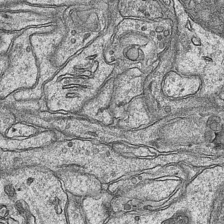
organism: Mouse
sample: CA1 Hippocampus